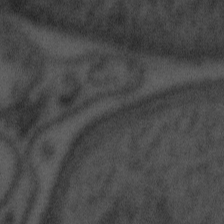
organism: Tuwongella immobilis